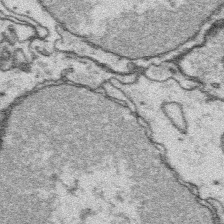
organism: Platynereis dumerilii